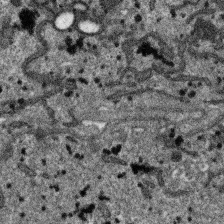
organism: Human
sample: Lung epithelial cells infected with SARS-CoV-2